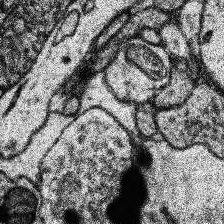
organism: Human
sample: Temporal Lobe